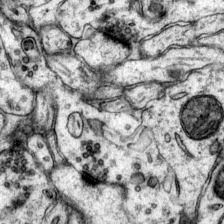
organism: Mouse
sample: Primary visual cortex